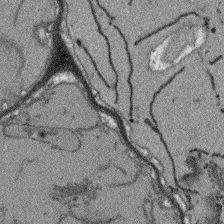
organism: Arabidopsis thaliana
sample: Root tip